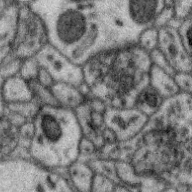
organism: Zebra finch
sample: Brain